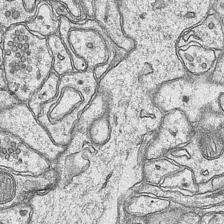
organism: Mouse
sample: CA1 Hippocampus